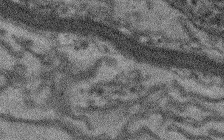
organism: Arabidopsis thaliana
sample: Root tip